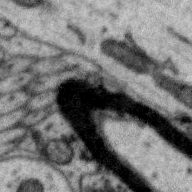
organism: Zebra finch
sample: Brain